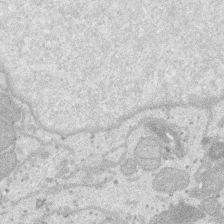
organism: Human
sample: Lung epithelial cells infected with SARS-CoV-2